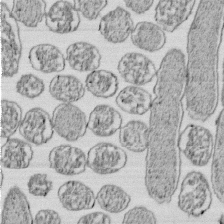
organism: E. coli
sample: Bacterial nucleoid